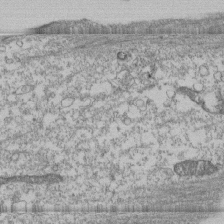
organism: Human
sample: Fibroblast cells